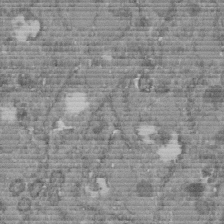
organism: C. elegans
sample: C. elegans embryo early stage